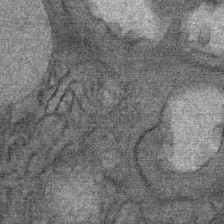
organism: Mouse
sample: Mouse Salivary gland